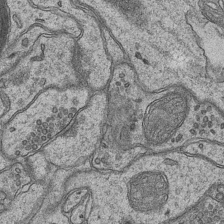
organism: Mouse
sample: CA1 Hippocampus